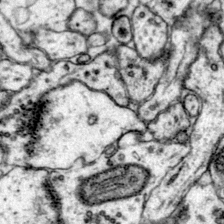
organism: Mouse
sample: Primary visual cortex